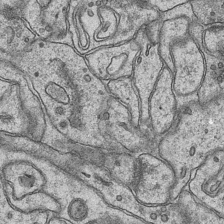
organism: Mouse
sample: CA1 Hippocampus